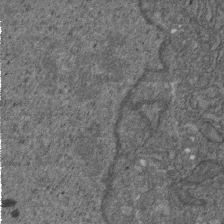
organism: Drosophila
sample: Nephrocyte